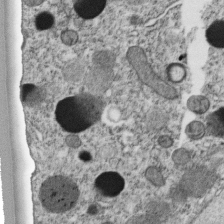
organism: C. elegans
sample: C. elegans embryo early stage